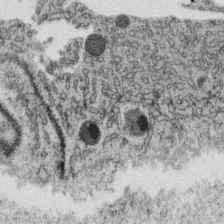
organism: C. elegans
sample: C. elegans oocyte; sperm cells